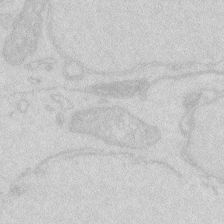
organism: Zebrafish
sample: Macrophage